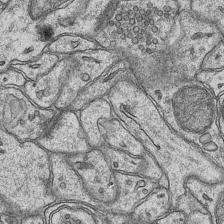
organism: Mouse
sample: CA1 Hippocampus